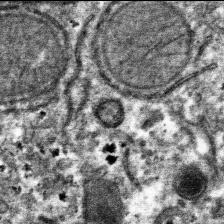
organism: Mouse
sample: Mouse hepatocytes